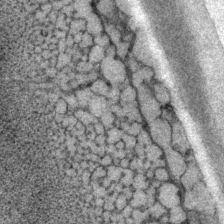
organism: P. pacificus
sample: Pharynx